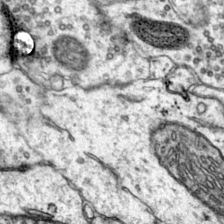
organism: Mouse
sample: Primary visual cortex